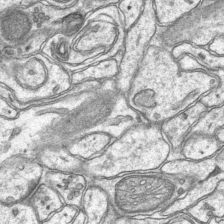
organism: Mouse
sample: CA1 Hippocampus